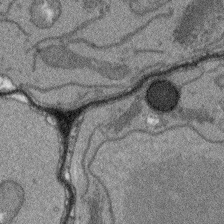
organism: Arabidopsis thaliana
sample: Root tip